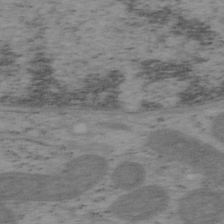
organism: Mouse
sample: OT-I killer T cells with ID8 ovarian cancer cells